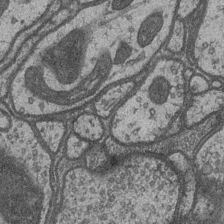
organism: Drosophila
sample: Optic medulla